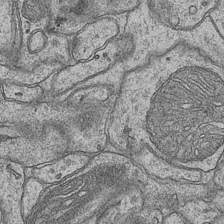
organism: Mouse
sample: CA1 Hippocampus